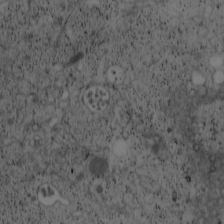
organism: African green monkey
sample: COS-7 cells